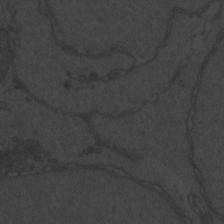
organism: Zebrafish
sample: Macrophage infected with Toxoplasma gondii